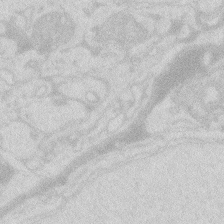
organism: Zebrafish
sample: Macrophage